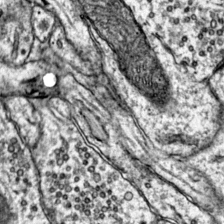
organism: Mouse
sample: Primary visual cortex